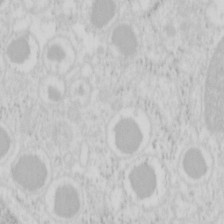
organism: Mouse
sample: Pancreas